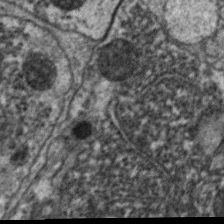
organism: C. elegans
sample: Pharynx